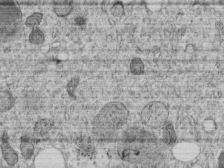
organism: C. elegans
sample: C. elegans embryo early stage